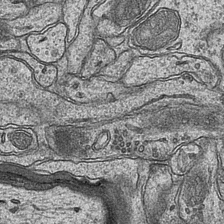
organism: Mouse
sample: CA1 Hippocampus